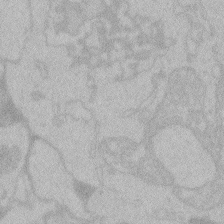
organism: Zebrafish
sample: Macrophage infected with Toxoplasma gondii